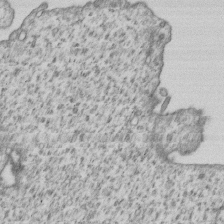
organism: Human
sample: MDA-MB-231 cells